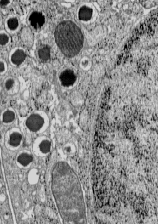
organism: C57BL Mouse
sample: Pancreatic islet